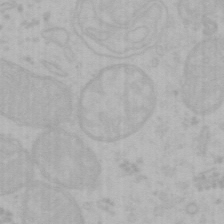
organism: Mouse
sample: Choroid plexus